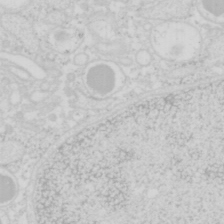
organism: Mouse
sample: Pancreas